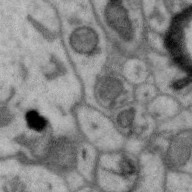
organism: Zebra finch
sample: Brain